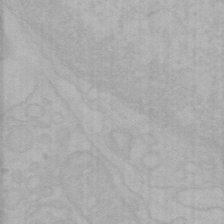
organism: Mouse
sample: Choroid plexus